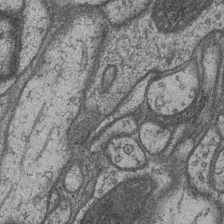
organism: Drosophila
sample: Optic medulla